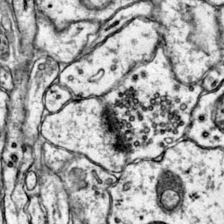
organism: Mouse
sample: Primary visual cortex